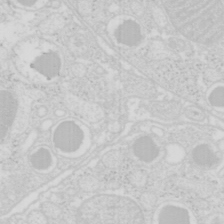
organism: Mouse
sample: Pancreas